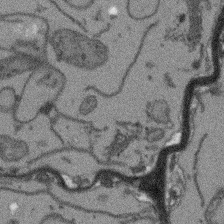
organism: Arabidopsis thaliana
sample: Root tip